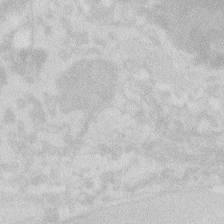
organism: Zebrafish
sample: Macrophage